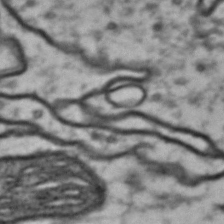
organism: Drosophila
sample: Brain